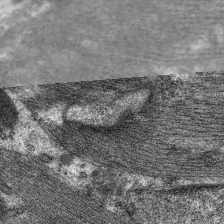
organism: C. elegans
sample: Pharynx